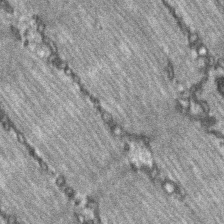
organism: C57BL Mouse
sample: Soleus